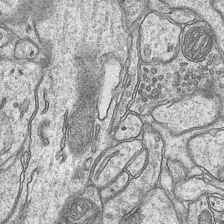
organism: Mouse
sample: CA1 Hippocampus